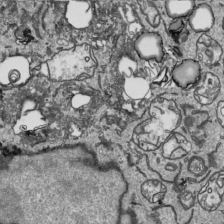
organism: Human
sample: Mitochondria in HCT116 cells